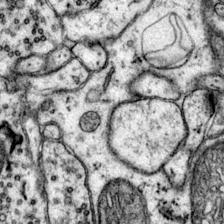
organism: Mouse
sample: Primary visual cortex